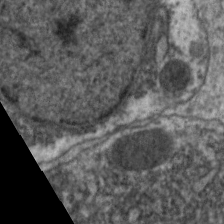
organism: C. elegans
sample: Pharynx